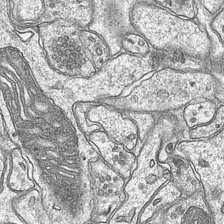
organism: Mouse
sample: CA1 Hippocampus